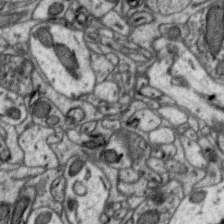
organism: Zebra finch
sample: Brain